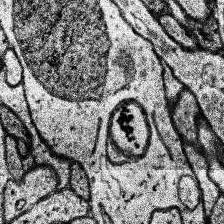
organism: Human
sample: Temporal Lobe